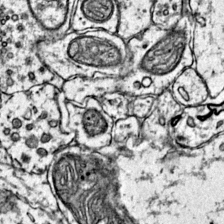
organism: Mouse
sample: Primary visual cortex